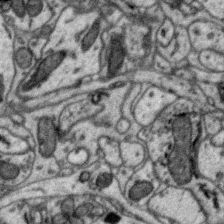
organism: Zebra finch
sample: Brain